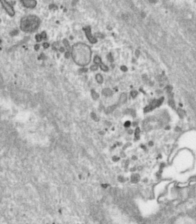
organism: Toxoplasma gondii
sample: Parasites in a vacuole inside a host cell